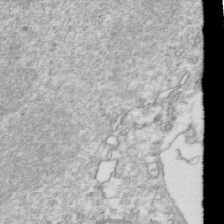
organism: Mouse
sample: Activated OT-1 CD8+ T cells